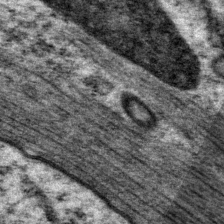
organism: P. pacificus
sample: Pharynx